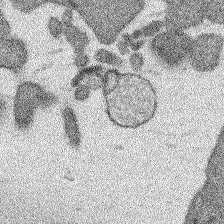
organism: Human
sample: HeLa cells